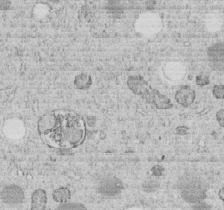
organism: C. elegans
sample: C. elegans embryo early stage